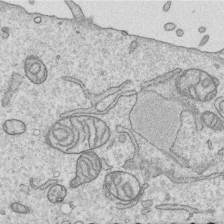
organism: Human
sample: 1205lu cells